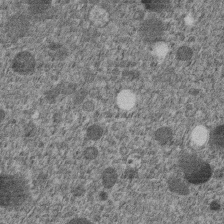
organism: C. elegans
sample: C. elegans embryo early stage